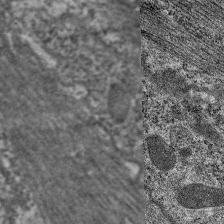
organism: C. elegans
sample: Pharynx